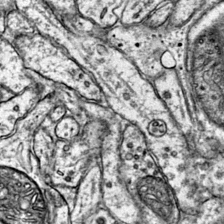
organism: Mouse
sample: Primary visual cortex